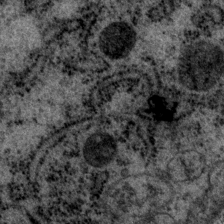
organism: P. pacificus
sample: Pharynx